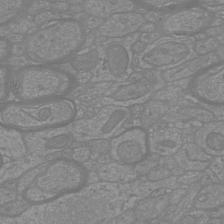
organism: Mouse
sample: Cortical neurons